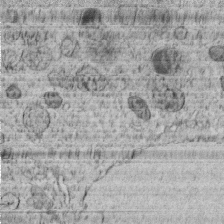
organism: C. elegans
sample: C. elegans embryo early stage